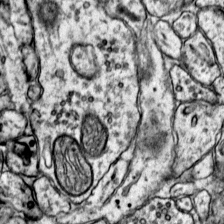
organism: Mouse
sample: Primary visual cortex